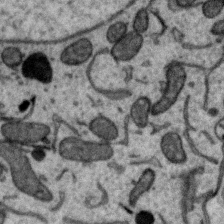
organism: Zebra finch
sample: Brain